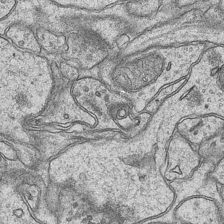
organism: Mouse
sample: CA1 Hippocampus